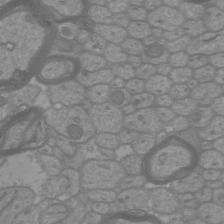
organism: Mouse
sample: Cortical neurons